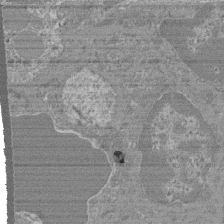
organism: Mouse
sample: Glomerulus